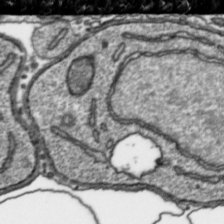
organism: Toxoplasma gondii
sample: Parasites in a vacuole inside a host cell